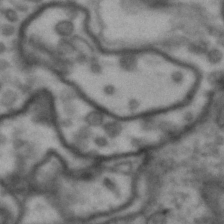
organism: Drosophila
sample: Brain